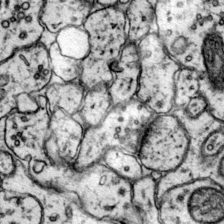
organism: Mouse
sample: Primary visual cortex